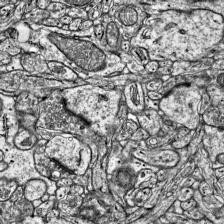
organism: Mouse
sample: Visual Cortex